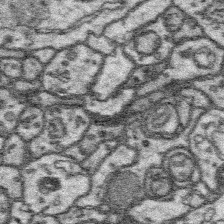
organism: Platynereis dumerilii